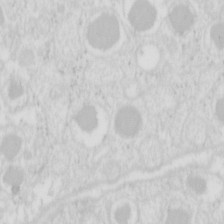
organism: Mouse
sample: Pancreas